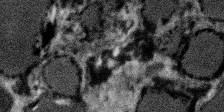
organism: Human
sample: Lung epithelial cells infected with SARS-CoV-2